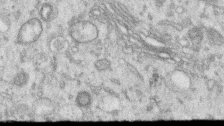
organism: Human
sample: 1205lu cells